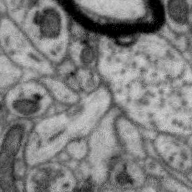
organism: Zebra finch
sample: Brain